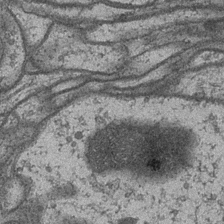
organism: Drosophila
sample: Optic medulla